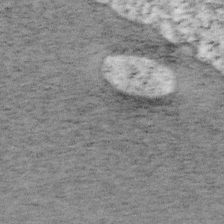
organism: Mouse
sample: OT-I killer T cells with ID8 ovarian cancer cells